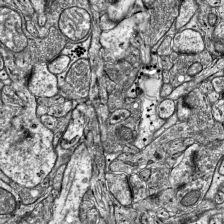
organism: Mouse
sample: Visual Cortex